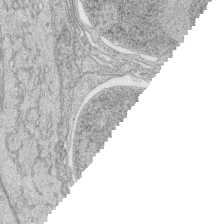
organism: Zebrafish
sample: synaptic ribbons in rod cells and cone cells